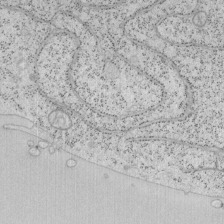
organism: Mouse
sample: OT-I killer T cells with ID8 ovarian cancer cells